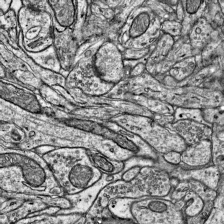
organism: Mouse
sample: Visual Cortex